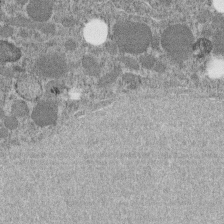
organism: C. elegans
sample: C. elegans embryo early stage